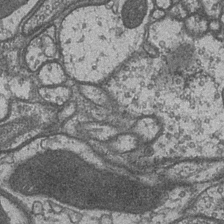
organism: Drosophila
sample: Optic medulla